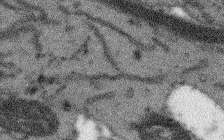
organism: Arabidopsis thaliana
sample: Root tip